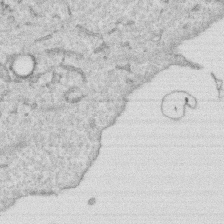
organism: Human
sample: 1205lu cells